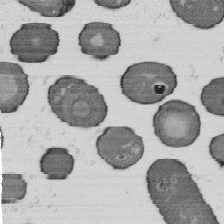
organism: B. subtilis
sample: Bacterial spore